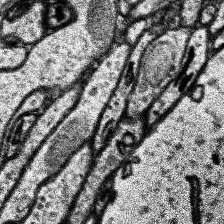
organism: Human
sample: Temporal Lobe